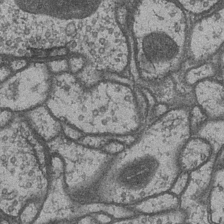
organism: Drosophila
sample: Optic medulla